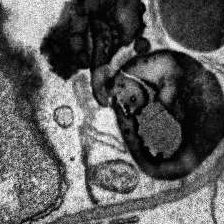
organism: Human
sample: Temporal Lobe